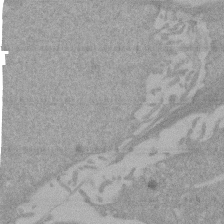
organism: Mouse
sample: ED-1 cell nuclei; centrioles